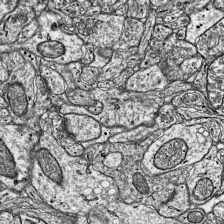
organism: Mouse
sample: Visual Cortex